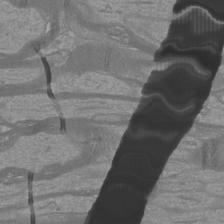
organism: Mouse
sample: Cortical neurons